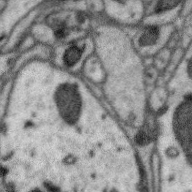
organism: Zebra finch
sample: Brain